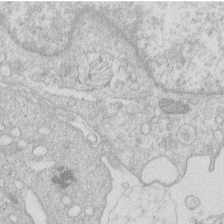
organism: Human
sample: Macrophage cells